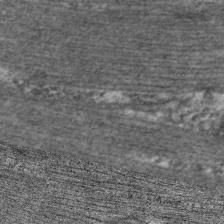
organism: C. elegans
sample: Pharynx